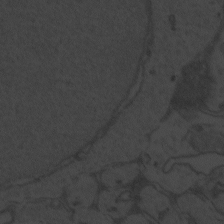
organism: Zebrafish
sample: Macrophage infected with Toxoplasma gondii